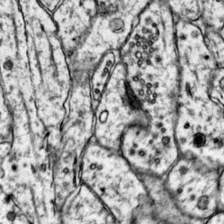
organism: Mouse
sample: Primary visual cortex